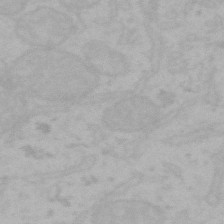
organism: Mouse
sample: Choroid plexus